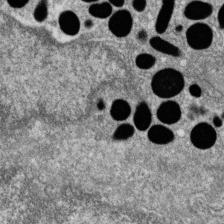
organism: Zebrafish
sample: Cilia; retinal pigment epithelium